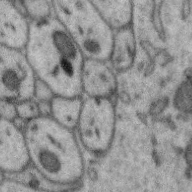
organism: Zebra finch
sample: Brain